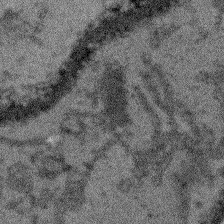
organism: Arabidopsis thaliana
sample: Root tip